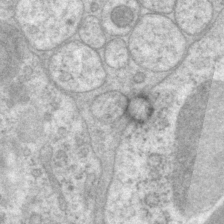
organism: P. pacificus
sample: Pharynx